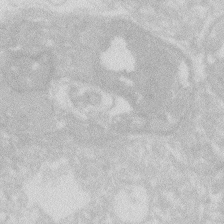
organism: Zebrafish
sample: Macrophage